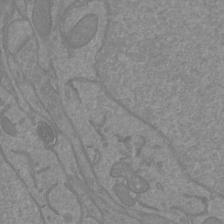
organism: Mouse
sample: Cortical neurons